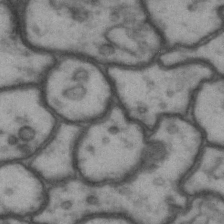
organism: Drosophila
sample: Brain